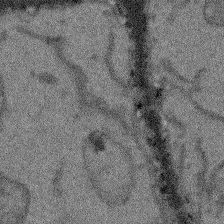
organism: Arabidopsis thaliana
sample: Root tip